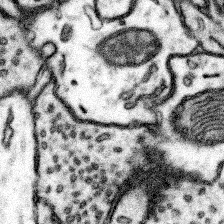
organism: Mouse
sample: Somatosensory cortex neuropil